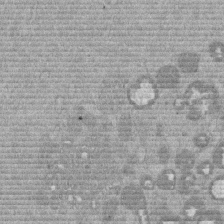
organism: Mouse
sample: Dividing mouse embryo 1 cell stage